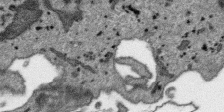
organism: Human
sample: Lung epithelial cells, uninfected (mock) control